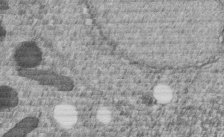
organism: C. elegans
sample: C. elegans embryo early stage